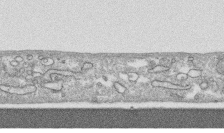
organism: Human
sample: CRL-1474